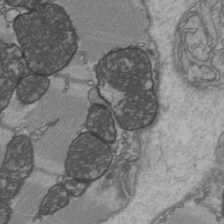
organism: C57BL Mouse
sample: Heart